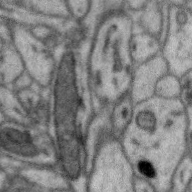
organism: Zebra finch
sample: Brain